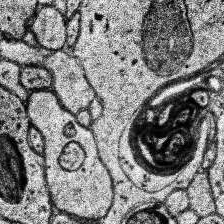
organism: Human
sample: Temporal Lobe